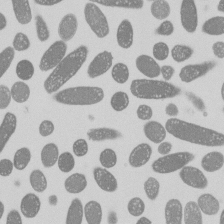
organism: E. coli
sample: Bacterial nucleoid